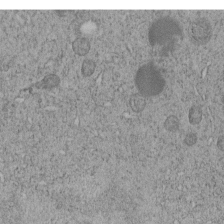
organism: C. elegans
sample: C. elegans embryo early stage